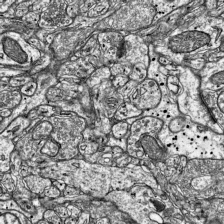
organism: Mouse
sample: Visual Cortex